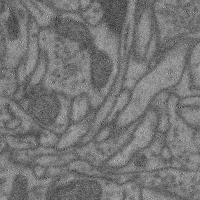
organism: Mouse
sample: Cerebral cortex